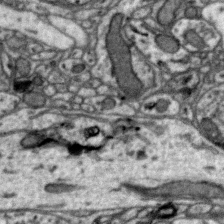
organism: Zebra finch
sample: Brain